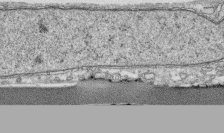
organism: Human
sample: CRL-1474